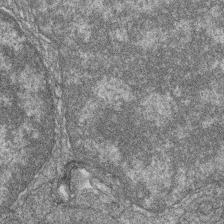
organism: Zebrafish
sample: Cilia; retinal pigment epithelium